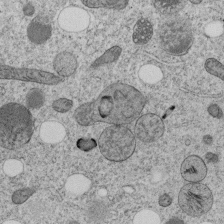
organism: C. elegans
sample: C. elegans embryo early stage